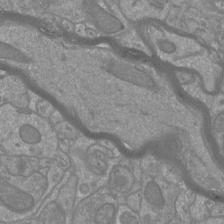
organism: Mouse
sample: Cortical neurons